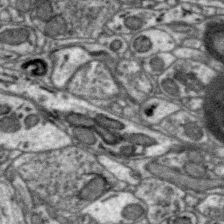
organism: Zebra finch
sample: Brain